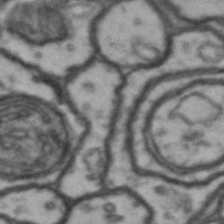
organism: Drosophila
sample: Brain